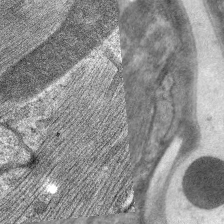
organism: C. elegans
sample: Pharynx